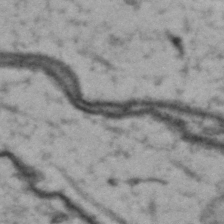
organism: Drosophila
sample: Brain